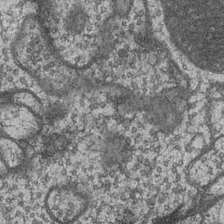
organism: Drosophila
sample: Optic medulla